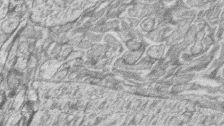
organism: Zebrafish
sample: synaptic ribbons in rod cells and cone cells